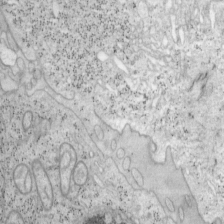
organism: Mouse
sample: OT-I killer T cells with ID8 ovarian cancer cells